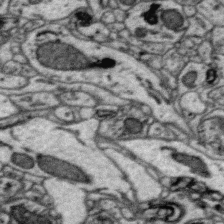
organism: Zebra finch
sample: Brain